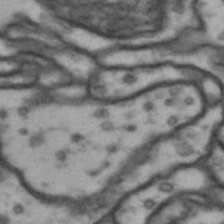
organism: Drosophila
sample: Brain